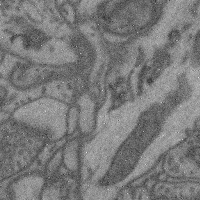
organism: Mouse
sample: Cerebral cortex